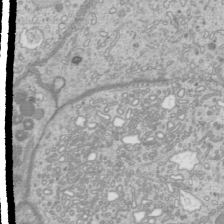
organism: Mouse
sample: Cilia; mouse epididymis